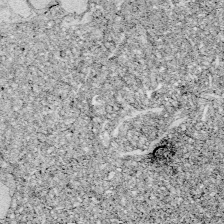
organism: Zebrafish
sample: Whole-Brain